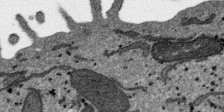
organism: Human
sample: Lung epithelial cells, uninfected (mock) control